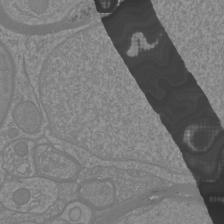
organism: Mouse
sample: Cortical neurons